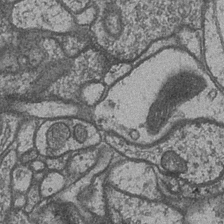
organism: Drosophila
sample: Optic medulla